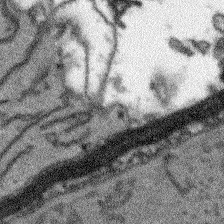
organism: Arabidopsis thaliana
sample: Root tip